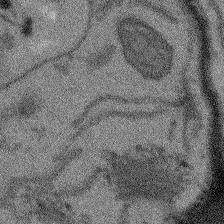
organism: Arabidopsis thaliana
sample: Root tip